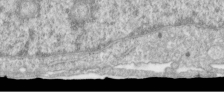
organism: Human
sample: Centriole in RPE cells